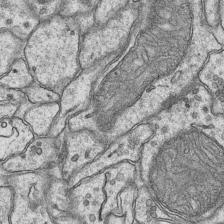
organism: Mouse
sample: CA1 Hippocampus